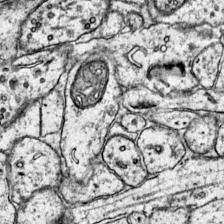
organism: Mouse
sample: Primary visual cortex